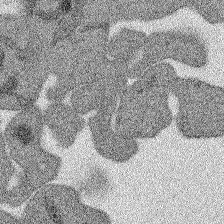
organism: Human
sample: HeLa cells